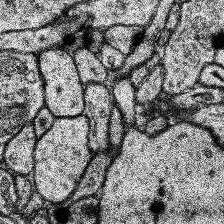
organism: Human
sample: Temporal Lobe